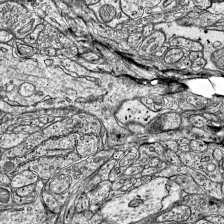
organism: Mouse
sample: Visual Cortex